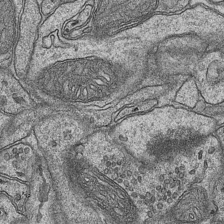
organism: Mouse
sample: CA1 Hippocampus